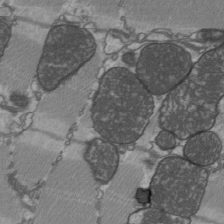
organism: C57BL Mouse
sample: Heart